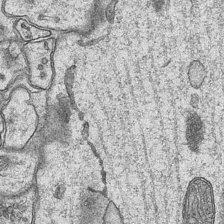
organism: Mouse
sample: CA1 Hippocampus